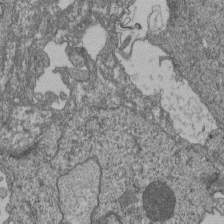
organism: Human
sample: Retinal organoid Rod and Cone cells